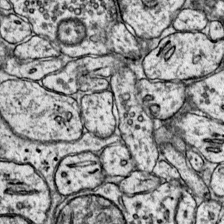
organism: Mouse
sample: Primary visual cortex